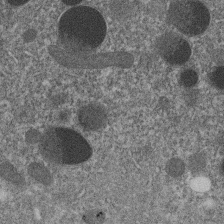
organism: C. elegans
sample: C. elegans embryo early stage